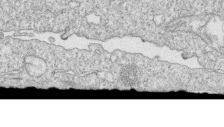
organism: Human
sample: HeLa cell HIV synapse